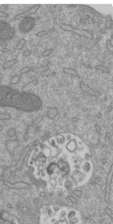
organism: Mouse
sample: ED-1 cell nuclei; centrioles